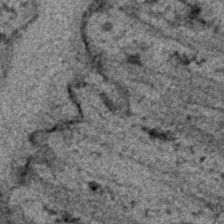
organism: C. elegans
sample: C. elegans embryo